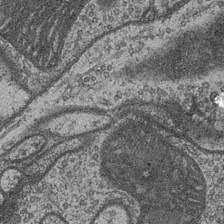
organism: Drosophila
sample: Optic medulla